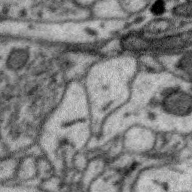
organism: Zebra finch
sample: Brain